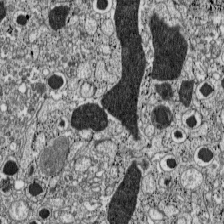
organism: C57BL Mouse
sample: Pancreatic islet